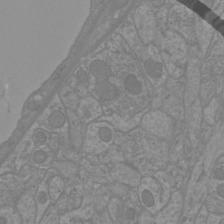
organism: Mouse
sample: Cortical neurons